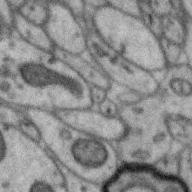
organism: Zebra finch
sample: Brain